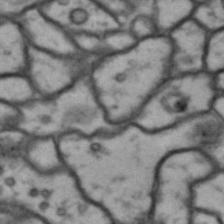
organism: Drosophila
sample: Brain